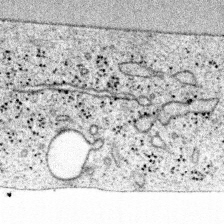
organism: Human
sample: HeLa cells